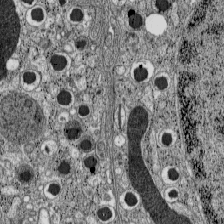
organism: C57BL Mouse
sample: Pancreatic islet